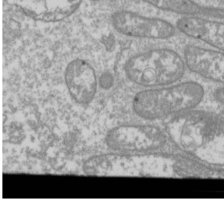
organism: Drosophila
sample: Cell division; meiosis; drosophila spermatocytes